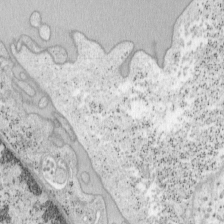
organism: Mouse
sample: OT-I killer T cells with ID8 ovarian cancer cells